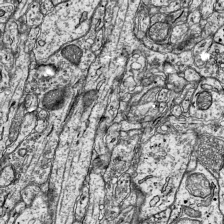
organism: Mouse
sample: Visual Cortex